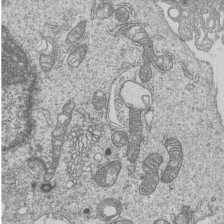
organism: Human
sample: MDA-MB-231 cells